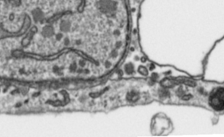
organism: Toxoplasma gondii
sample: Parasites in a vacuole inside a host cell